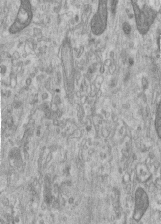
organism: Human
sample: Centriole in RPE cells